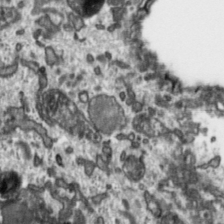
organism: Toxoplasma gondii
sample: Parasites in a vacuole inside a host cell